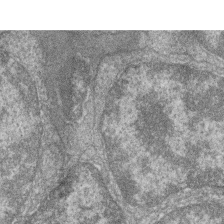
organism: Zebrafish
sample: Cilia; retinal pigment epithelium